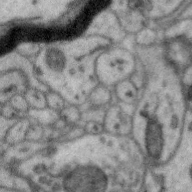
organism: Zebra finch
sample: Brain